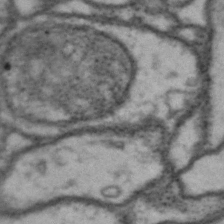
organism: Drosophila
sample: Brain